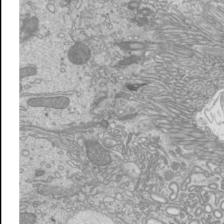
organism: Mouse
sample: Cilia; mouse epididymis